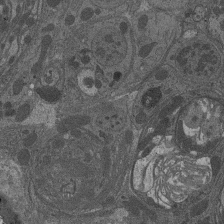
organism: Drosophila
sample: Antenna